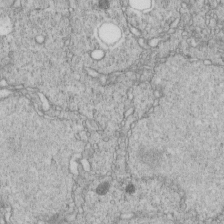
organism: C. elegans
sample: C. elegans embryo early stage